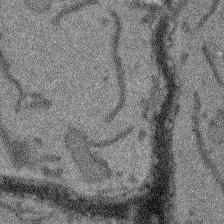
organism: Arabidopsis thaliana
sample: Root tip